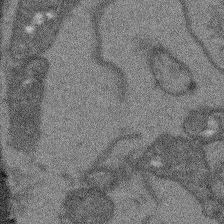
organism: Arabidopsis thaliana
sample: Root tip